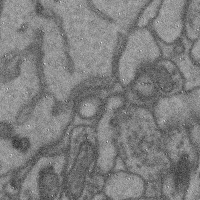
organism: Mouse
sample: Cerebral cortex